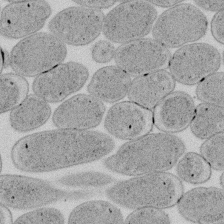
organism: E. coli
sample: Bacterial nucleoid